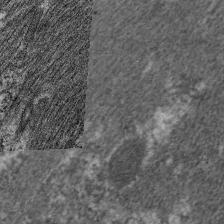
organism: C. elegans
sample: Pharynx